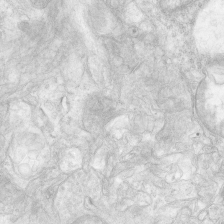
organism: Human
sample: Neocortex